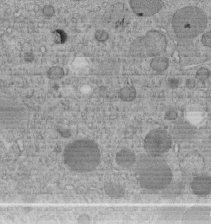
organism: C. elegans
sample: C. elegans embryo early stage